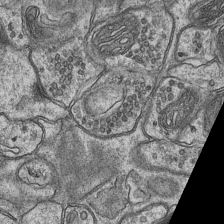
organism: Mouse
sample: CA1 Hippocampus